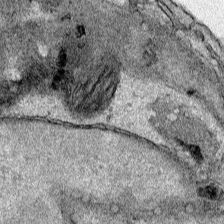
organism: Human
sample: Mitochondria in HCT116 cells